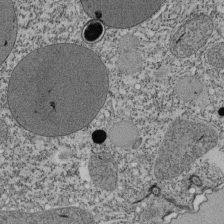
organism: Tetrahymena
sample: Cilia in tetrahymena